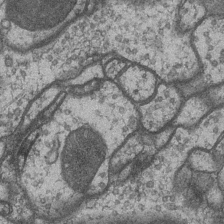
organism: Drosophila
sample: Optic medulla